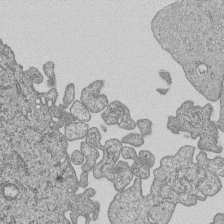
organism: Human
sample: MDA-MB-231 cells